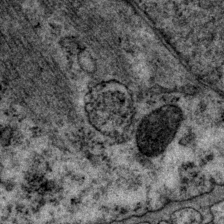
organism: P. pacificus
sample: Pharynx